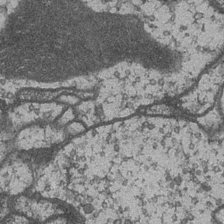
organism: Drosophila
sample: Optic medulla